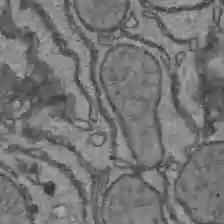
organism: C57BL Mouse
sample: Liver